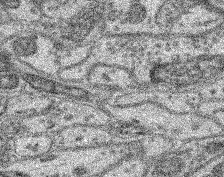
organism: Mouse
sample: Retina